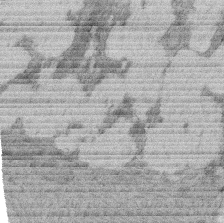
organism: Rat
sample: Salivary granule